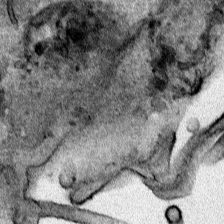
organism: Human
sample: Mitochondria in HCT116 cells